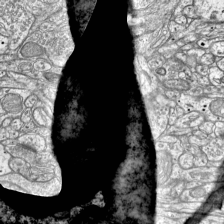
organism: Mouse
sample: Visual Cortex